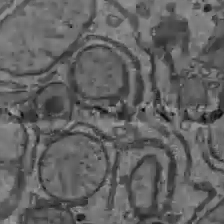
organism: C57BL Mouse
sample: Liver